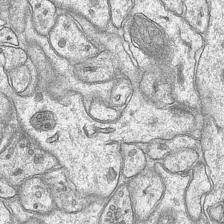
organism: Mouse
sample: CA1 Hippocampus